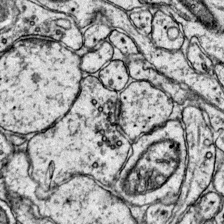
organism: Mouse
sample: Primary visual cortex